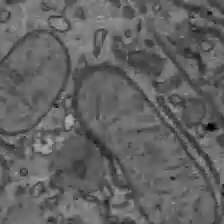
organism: C57BL Mouse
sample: Liver